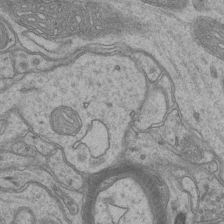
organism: Mouse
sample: CA1 Hippocampus